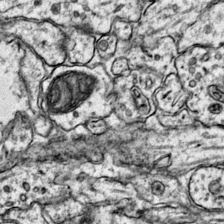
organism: Mouse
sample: Primary visual cortex